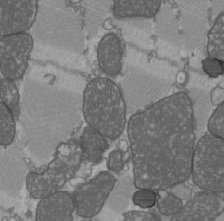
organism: C57BL Mouse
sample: Heart